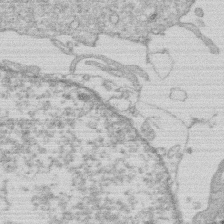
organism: Human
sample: Macrophage cells